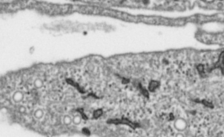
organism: Toxoplasma gondii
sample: Parasites in a vacuole inside a host cell